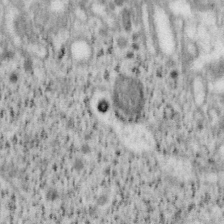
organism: Mouse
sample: OT-I killer T cells with ID8 ovarian cancer cells